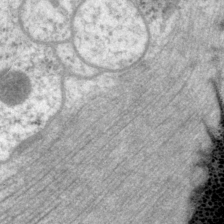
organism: P. pacificus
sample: Pharynx